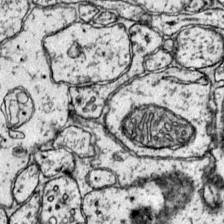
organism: Mouse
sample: Primary visual cortex